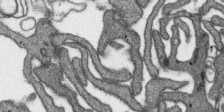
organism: Human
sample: Lung epithelial cells, uninfected (mock) control